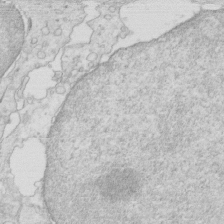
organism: Mouse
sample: Multiciliated cells